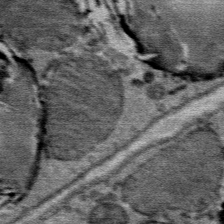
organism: Mouse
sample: Mouse Salivary gland